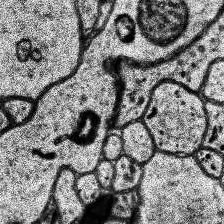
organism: Human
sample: Temporal Lobe